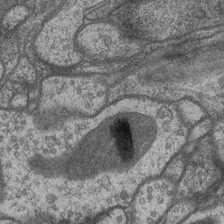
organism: Drosophila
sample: Optic medulla